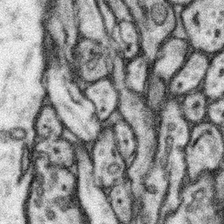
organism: Mouse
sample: Somatosensory cortex neuropil